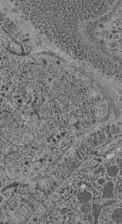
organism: C. elegans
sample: C. elegans pharynx